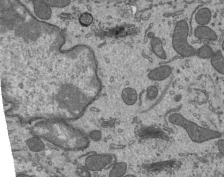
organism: Mouse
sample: Mouse epididymis efferent ductule cilia